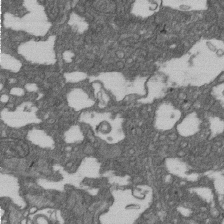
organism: Drosophila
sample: Nephrocyte